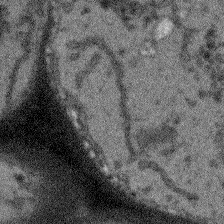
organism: Arabidopsis thaliana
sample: Root tip